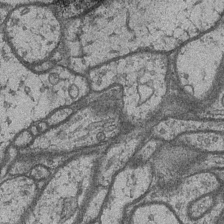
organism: Drosophila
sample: Optic medulla